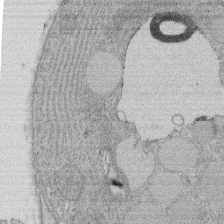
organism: Rat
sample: Salivary granule